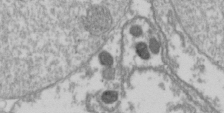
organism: Drosophila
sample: Cell division; meiosis; drosophila spermatocytes